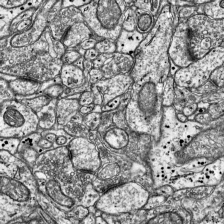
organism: Mouse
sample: Visual Cortex